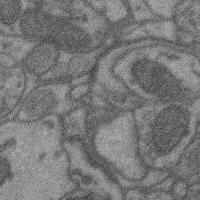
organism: Mouse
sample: Cerebral cortex